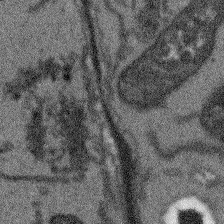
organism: Arabidopsis thaliana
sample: Root tip